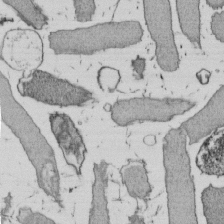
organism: E. coli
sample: Bacterial nucleoid